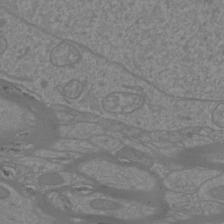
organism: Mouse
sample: Cortical neurons